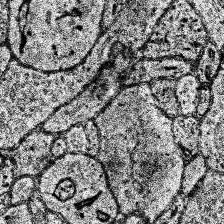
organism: Human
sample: Temporal Lobe